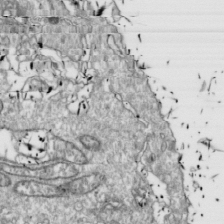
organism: Drosophila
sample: Cell division; meiosis; drosophila spermatocytes